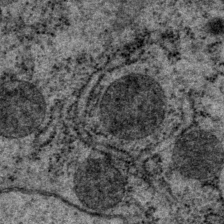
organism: P. pacificus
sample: Pharynx